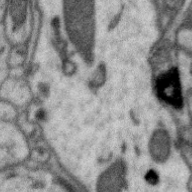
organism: Zebra finch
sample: Brain